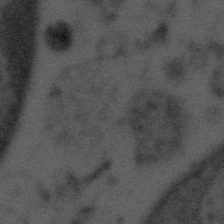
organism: Tuwongella immobilis